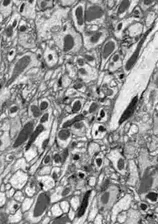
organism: Drosophila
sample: Optic lobe